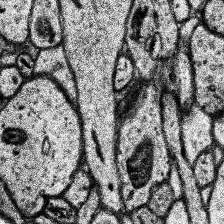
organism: Human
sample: Temporal Lobe